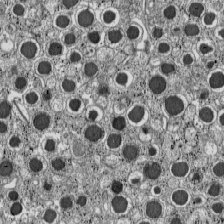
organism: C57BL Mouse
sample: Pancreatic islet